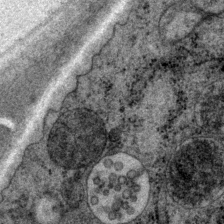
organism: P. pacificus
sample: Pharynx